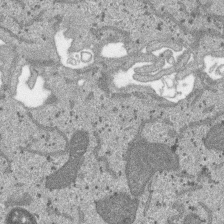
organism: Human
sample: Lung epithelial cells infected with SARS-CoV-2